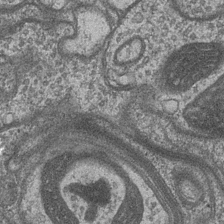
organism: Drosophila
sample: Optic medulla